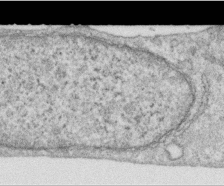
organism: Human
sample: Centriole in RPE cells